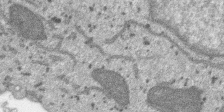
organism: Human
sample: Lung epithelial cells infected with SARS-CoV-2